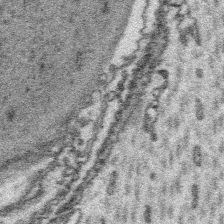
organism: Platynereis dumerilii